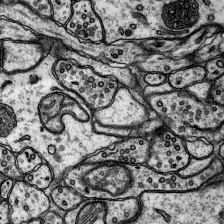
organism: Rat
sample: Hippocampus